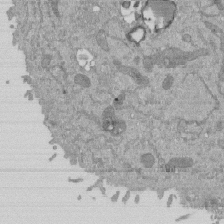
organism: Mouse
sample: ED-1 cell nuclei; centrioles